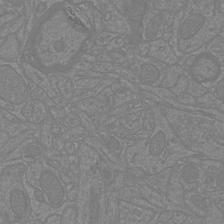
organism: Mouse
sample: Cortical neurons